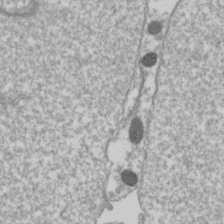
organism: Drosophila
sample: Cell division; meiosis; drosophila spermatocytes